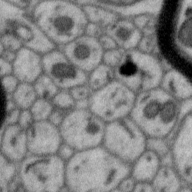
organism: Zebra finch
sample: Brain